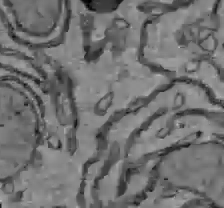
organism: C57BL Mouse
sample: Liver